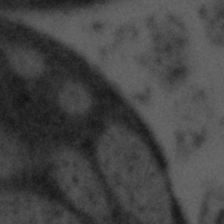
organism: Tuwongella immobilis